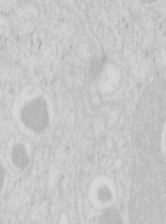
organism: Mouse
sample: Pancreas